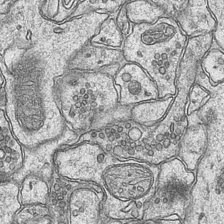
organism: Mouse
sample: CA1 Hippocampus